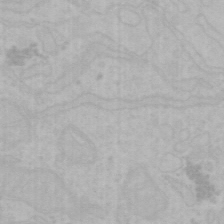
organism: Mouse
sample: Choroid plexus